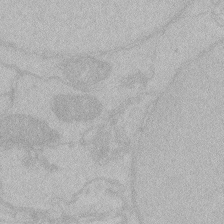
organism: Zebrafish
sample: Macrophage infected with Toxoplasma gondii